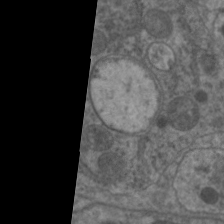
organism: C. elegans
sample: Pharynx